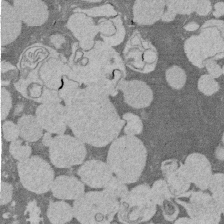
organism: Rat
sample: Salivary granule